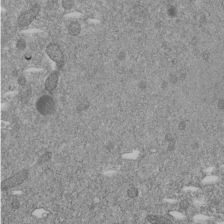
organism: C. elegans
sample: C. elegans embryo early stage